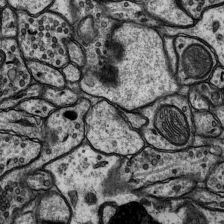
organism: Rat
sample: Hippocampus